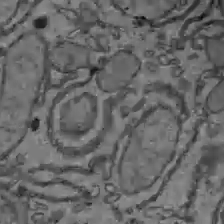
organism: C57BL Mouse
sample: Liver